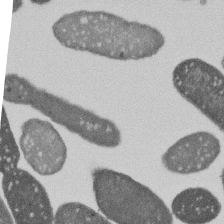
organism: E. coli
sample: Bacterial nucleoid